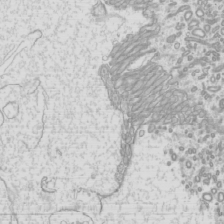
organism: Mouse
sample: Cilia; mouse epididymis